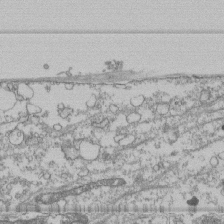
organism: Human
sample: Fibroblast cells